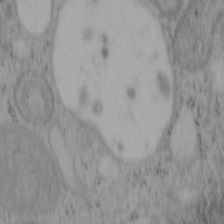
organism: Mouse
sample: OT-I killer T cells with ID8 ovarian cancer cells